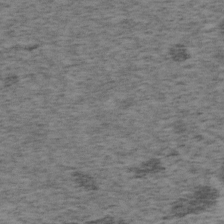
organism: Mouse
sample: OT-I killer T cells with ID8 ovarian cancer cells